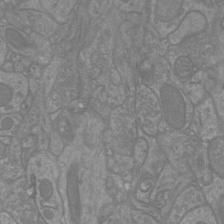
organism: Mouse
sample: Cortical neurons